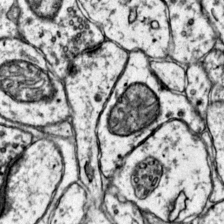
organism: Mouse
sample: Primary visual cortex